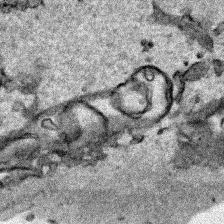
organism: Human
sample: Mitochondria in HCT116 cells